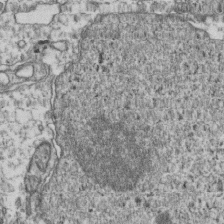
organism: Human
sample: Activated Jurkat CD4+ T cells